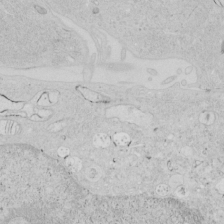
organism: Human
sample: Mitochondria in HCT116 cells